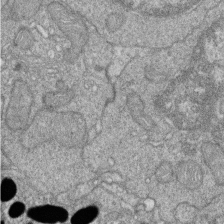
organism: Zebrafish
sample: Cilia; retinal pigment epithelium